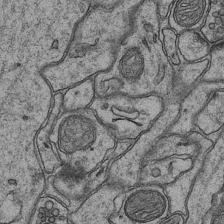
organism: Mouse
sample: CA1 Hippocampus